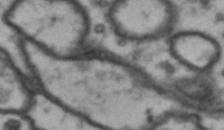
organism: Drosophila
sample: Brain